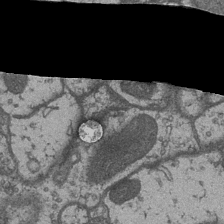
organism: Drosophila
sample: Optic medulla